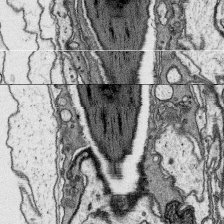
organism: Platynereis dumerilii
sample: Parapodia